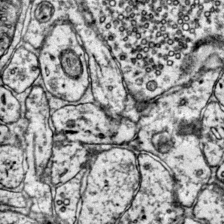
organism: Mouse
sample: Primary visual cortex